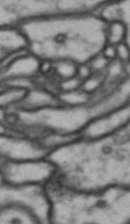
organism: Drosophila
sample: Brain